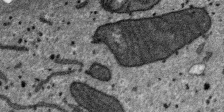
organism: Human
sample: Lung epithelial cells, uninfected (mock) control